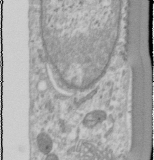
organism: Human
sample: Cilia; basal body in RPE cells